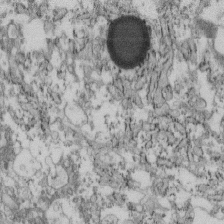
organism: Mouse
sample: Cilia; retinal pigment epithelium